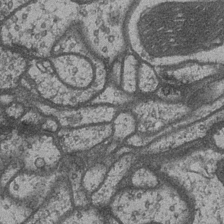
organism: Drosophila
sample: Optic medulla